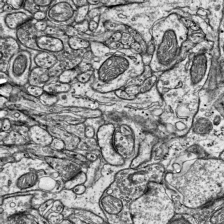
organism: Mouse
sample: Visual Cortex